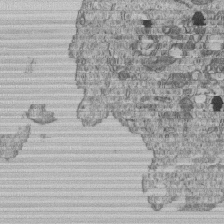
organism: Human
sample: MDA-MB-231 cells